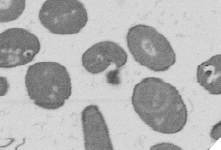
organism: B. subtilis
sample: Bacterial spore